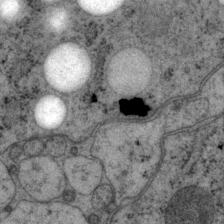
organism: P. pacificus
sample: Pharynx